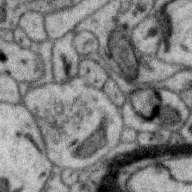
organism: Zebra finch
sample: Brain